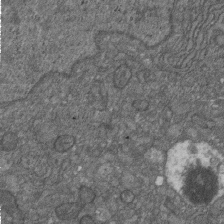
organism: Drosophila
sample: Nephrocyte